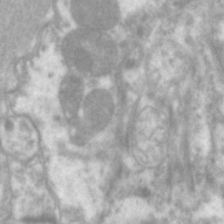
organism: C. elegans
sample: Pharynx